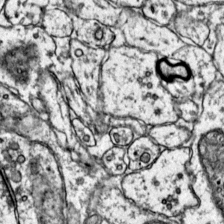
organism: Mouse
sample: Primary visual cortex